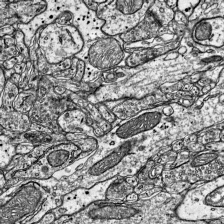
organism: Mouse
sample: Visual Cortex